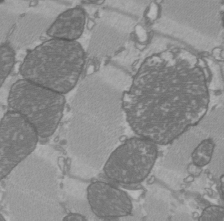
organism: C57BL Mouse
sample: Heart